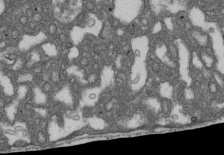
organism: Drosophila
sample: Nephrocyte